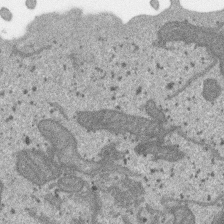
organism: Human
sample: Lung epithelial cells infected with SARS-CoV-2